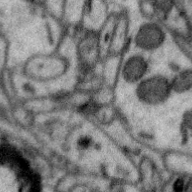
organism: Zebra finch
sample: Brain